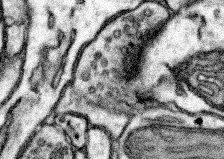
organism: Mouse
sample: Somatosensory cortex neuropil